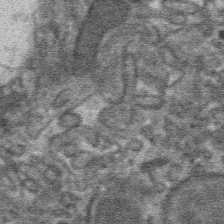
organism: Mouse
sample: Mouse hepatocytes